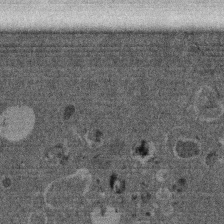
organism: Mouse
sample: Dividing mouse embryo 1 cell stage